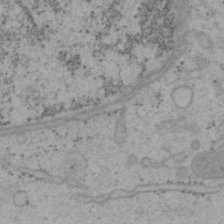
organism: Human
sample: HeLa cells